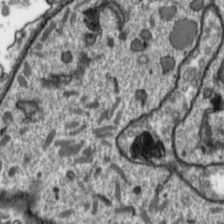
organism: Toxoplasma gondii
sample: Parasites in a vacuole inside a host cell